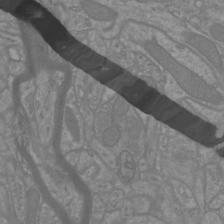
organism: Mouse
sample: Cortical neurons